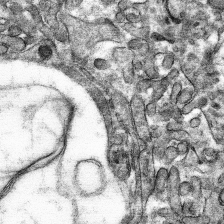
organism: Mouse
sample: Mouse hepatocytes